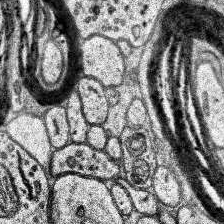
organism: Human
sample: Temporal Lobe